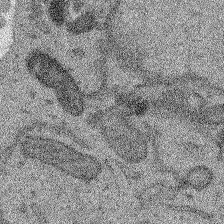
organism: Human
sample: HeLa cells